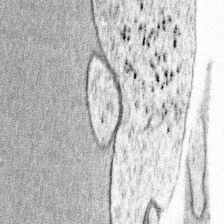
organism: Human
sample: HeLa cells